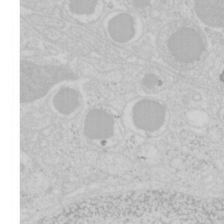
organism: Mouse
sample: Pancreas